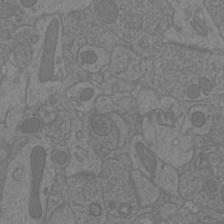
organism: Mouse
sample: Cortical neurons